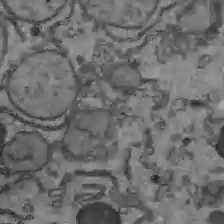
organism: C57BL Mouse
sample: Liver